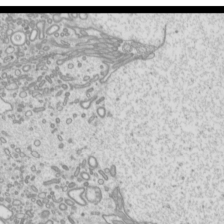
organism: Mouse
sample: Cilia; mouse epididymis